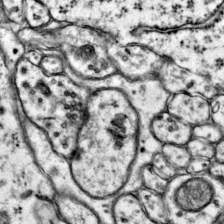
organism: Mouse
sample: Primary visual cortex